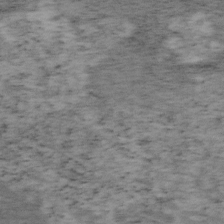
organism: Mouse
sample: OT-I killer T cells with ID8 ovarian cancer cells